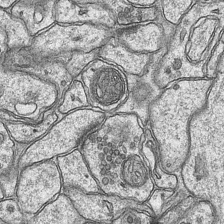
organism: Mouse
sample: CA1 Hippocampus